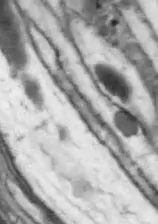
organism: Drosophila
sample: Optic lobe